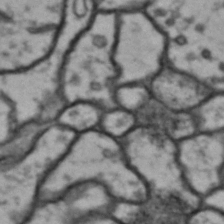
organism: Drosophila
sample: Brain